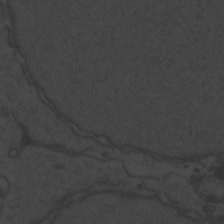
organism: Zebrafish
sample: Macrophage infected with Toxoplasma gondii